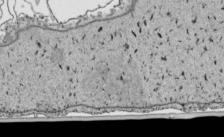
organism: Human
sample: Mitochondria in HCT116 cells